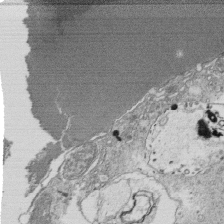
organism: Tetrahymena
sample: Cilia in tetrahymena